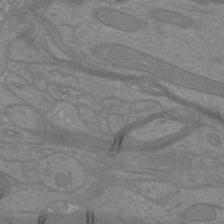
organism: Mouse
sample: Cortical neurons